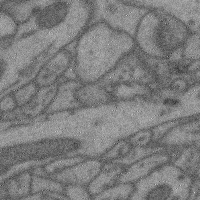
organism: Mouse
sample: Cerebral cortex